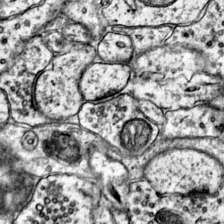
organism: Mouse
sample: Primary visual cortex